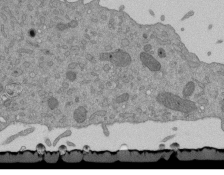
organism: Mouse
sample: ED-1 cell nuclei; centrioles